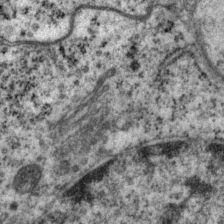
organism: P. pacificus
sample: Pharynx